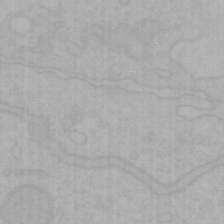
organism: Mouse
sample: Choroid plexus